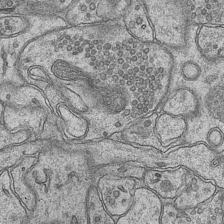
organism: Mouse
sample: CA1 Hippocampus